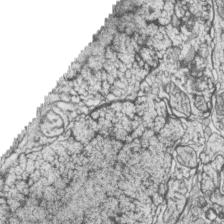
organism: Zebrafish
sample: synaptic ribbons in rod cells and cone cells